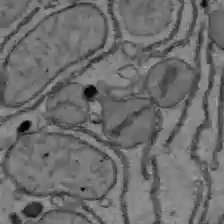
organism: C57BL Mouse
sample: Liver